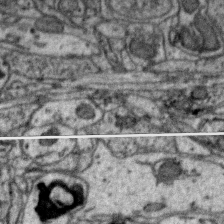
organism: Zebra finch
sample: Brain